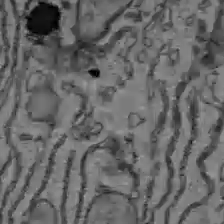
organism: C57BL Mouse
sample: Liver